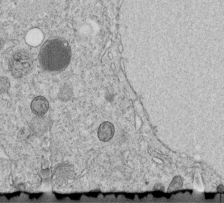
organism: C. elegans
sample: C. elegans embryo early stage